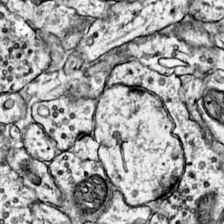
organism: Mouse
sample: Primary visual cortex